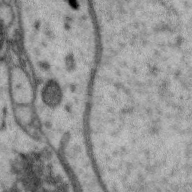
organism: Zebra finch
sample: Brain